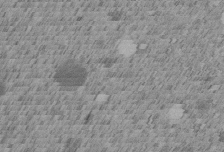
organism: C. elegans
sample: C. elegans embryo early stage